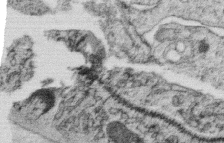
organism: C. elegans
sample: C. elegans oocyte; sperm cells